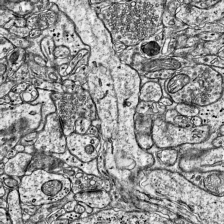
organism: Mouse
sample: Visual Cortex